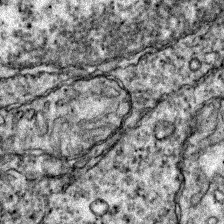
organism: Zebrafish